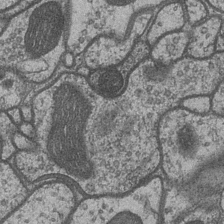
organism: Drosophila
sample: Optic medulla